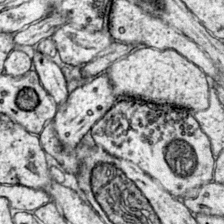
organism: Mouse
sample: Primary visual cortex